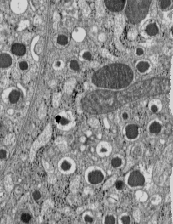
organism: C57BL Mouse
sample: Pancreatic islet